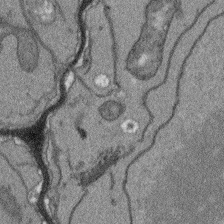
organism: Arabidopsis thaliana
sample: Root tip